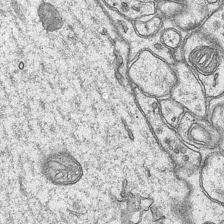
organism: Mouse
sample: CA1 Hippocampus